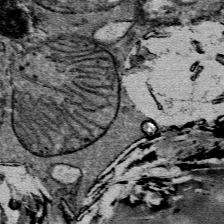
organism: Mouse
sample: Mouse Salivary gland